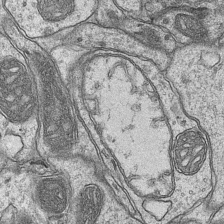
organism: Mouse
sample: CA1 Hippocampus